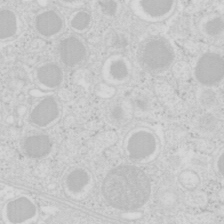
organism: Mouse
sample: Pancreas